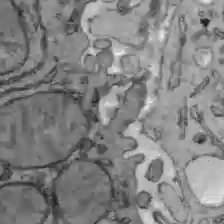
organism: C57BL Mouse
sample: Liver